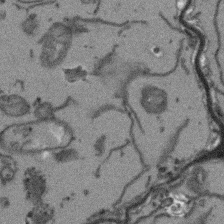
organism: Arabidopsis thaliana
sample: Root tip